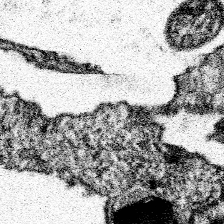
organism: Spongilla lacustris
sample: Neuroid cell